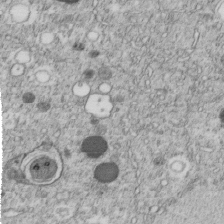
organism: C. elegans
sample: C. elegans embryo early stage